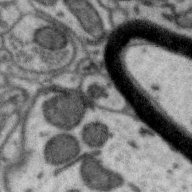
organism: Zebra finch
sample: Brain